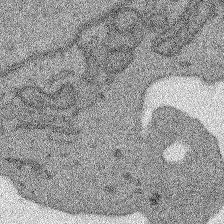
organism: Human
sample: HeLa cells